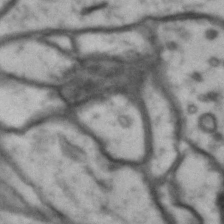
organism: Drosophila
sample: Brain